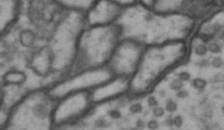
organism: Drosophila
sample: Brain